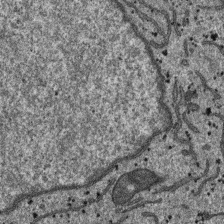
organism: Human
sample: Lung epithelial cells infected with SARS-CoV-2